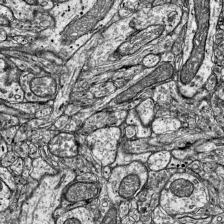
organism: Mouse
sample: Visual Cortex